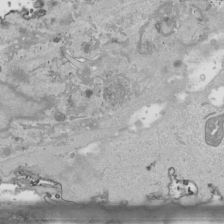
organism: Human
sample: Mitochondria in HCT116 cells